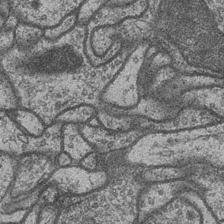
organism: Drosophila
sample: Optic medulla